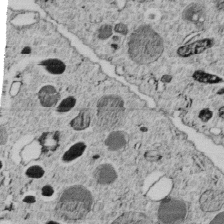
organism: C. elegans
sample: C. elegans embryo early stage